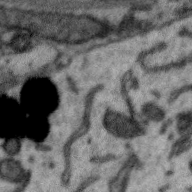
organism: Zebra finch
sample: Brain